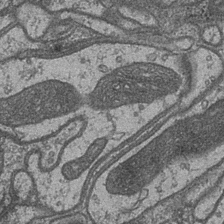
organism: Drosophila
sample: Optic medulla